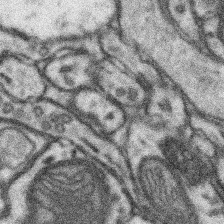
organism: Mouse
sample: Somatosensory cortex neuropil